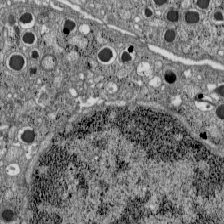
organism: C57BL Mouse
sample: Pancreatic islet